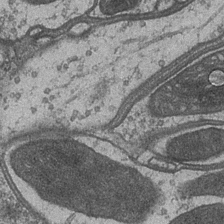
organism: Drosophila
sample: Optic medulla